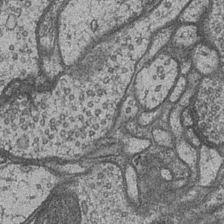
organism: Drosophila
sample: Optic medulla